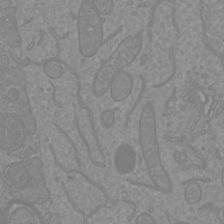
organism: Mouse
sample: Cortical neurons